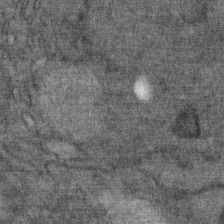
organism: Mouse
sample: Mouse Salivary gland